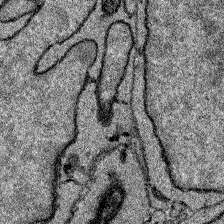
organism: Zebrafish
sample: Larval olfactory bulb